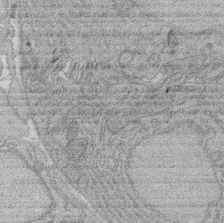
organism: Rat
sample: Salivary granule